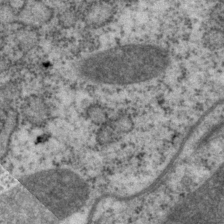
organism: P. pacificus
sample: Pharynx